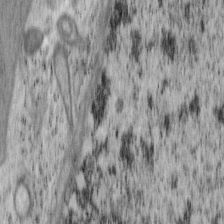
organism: Human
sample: HeLa cells